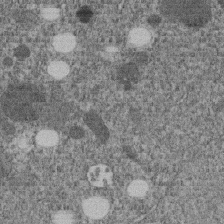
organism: C. elegans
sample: C. elegans embryo early stage